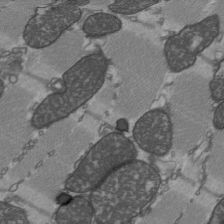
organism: C57BL Mouse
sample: Heart